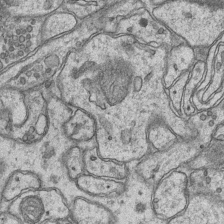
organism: Mouse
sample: CA1 Hippocampus